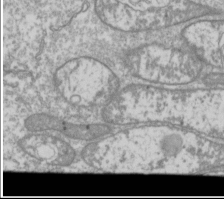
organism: Drosophila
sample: Cell division; meiosis; drosophila spermatocytes